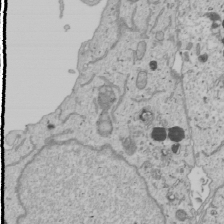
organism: Human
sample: Mitochondria in U2OS cells